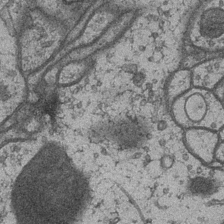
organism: Drosophila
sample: Optic medulla